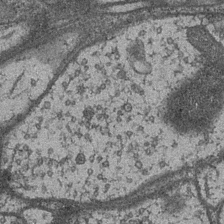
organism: Drosophila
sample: Optic medulla